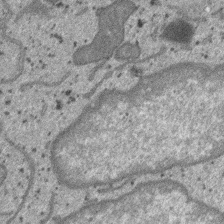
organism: Human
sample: Lung epithelial cells infected with SARS-CoV-2